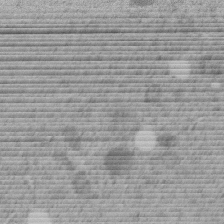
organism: C. elegans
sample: C. elegans embryo early stage